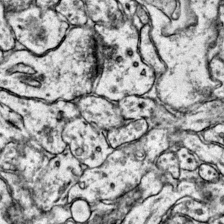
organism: Mouse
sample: Primary visual cortex